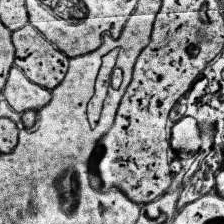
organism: Human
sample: Temporal Lobe